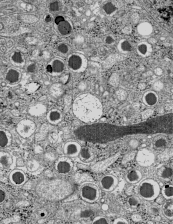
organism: C57BL Mouse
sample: Pancreatic islet